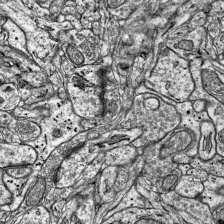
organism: Mouse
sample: Visual Cortex